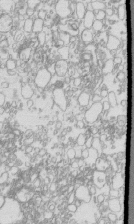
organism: Mouse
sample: Macrophages